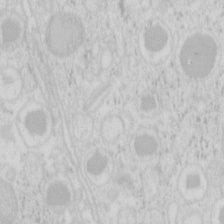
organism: Mouse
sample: Pancreas